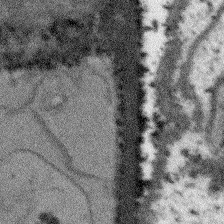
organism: Arabidopsis thaliana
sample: Root tip